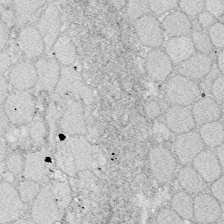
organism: Zebrafish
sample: Whole-Brain